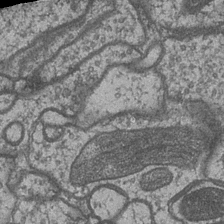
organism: Drosophila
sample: Optic medulla